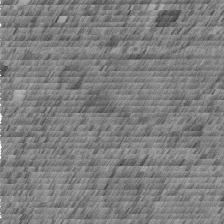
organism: C. elegans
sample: C. elegans embryo early stage